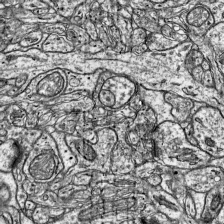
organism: Mouse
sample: Visual Cortex